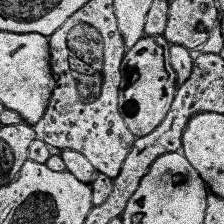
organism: Human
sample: Temporal Lobe